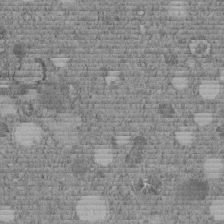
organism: C. elegans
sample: C. elegans embryo early stage